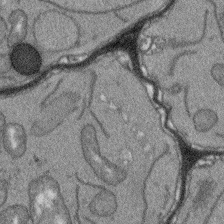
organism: Arabidopsis thaliana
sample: Root tip